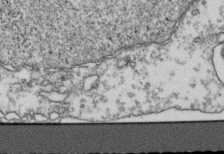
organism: Human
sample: Activated Jurkat CD4+ T cells